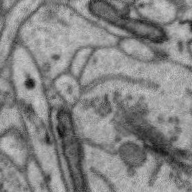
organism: Zebra finch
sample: Brain